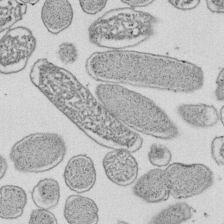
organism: E. coli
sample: Bacterial nucleoid